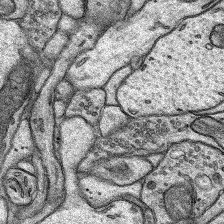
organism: Rat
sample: Hippocampus